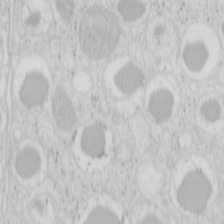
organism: Mouse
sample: Pancreas